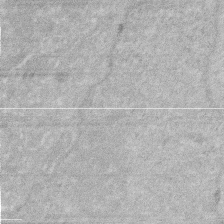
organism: Human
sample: HIV infected U937 cells